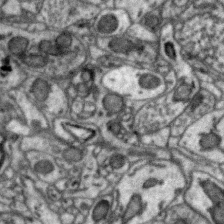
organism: Zebra finch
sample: Brain